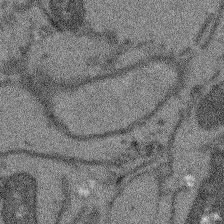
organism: Arabidopsis thaliana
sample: Root tip